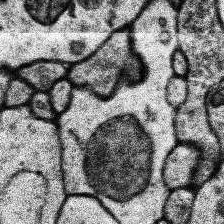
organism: Human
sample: Temporal Lobe